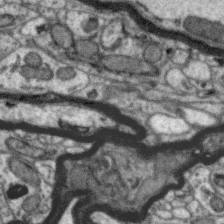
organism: Zebra finch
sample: Brain